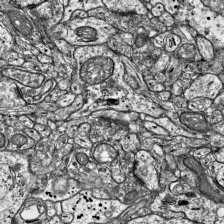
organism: Mouse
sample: Visual Cortex